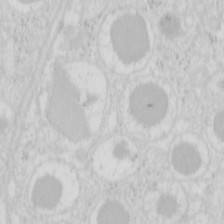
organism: Mouse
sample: Pancreas